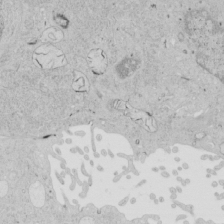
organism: Human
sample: Mitochondria in HCT116 cells